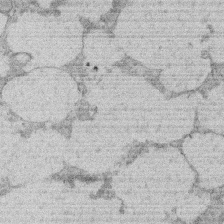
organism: Rat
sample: Salivary granule